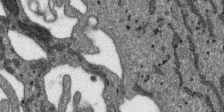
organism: Human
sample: Lung epithelial cells infected with SARS-CoV-2